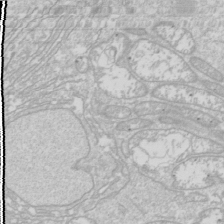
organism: Drosophila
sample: Cell division; meiosis; drosophila spermatocytes